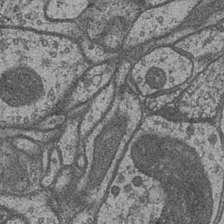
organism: Drosophila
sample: Optic medulla